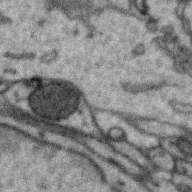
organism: Zebra finch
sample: Brain